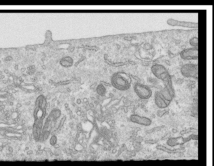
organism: Human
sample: Centriole in RPE cells